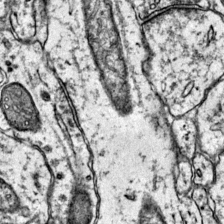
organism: Mouse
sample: Primary visual cortex